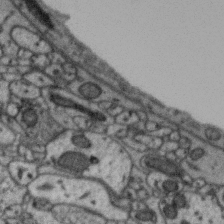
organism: Zebra finch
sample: Brain